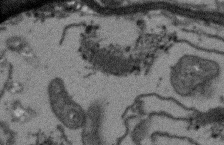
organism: Arabidopsis thaliana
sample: Root tip